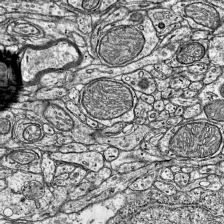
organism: Mouse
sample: Visual Cortex